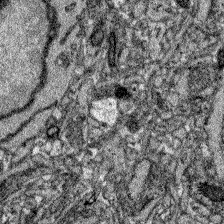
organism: Zebrafish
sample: Larval olfactory bulb